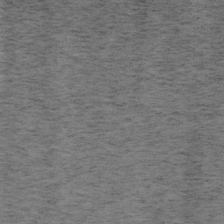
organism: Mouse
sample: OT-I killer T cells with ID8 ovarian cancer cells